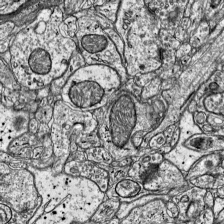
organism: Mouse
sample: Visual Cortex